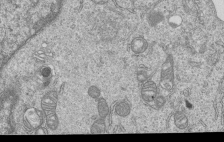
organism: Human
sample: MDA-MB-231 cells